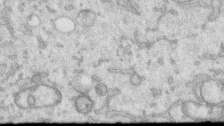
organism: Human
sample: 1205lu cells